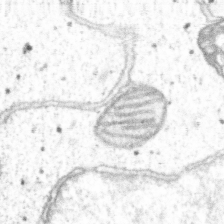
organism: Human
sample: HeLa cells